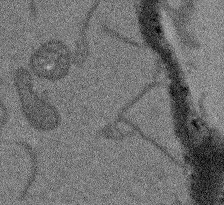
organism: Arabidopsis thaliana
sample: Root tip